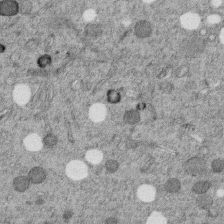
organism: C. elegans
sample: C. elegans embryo early stage